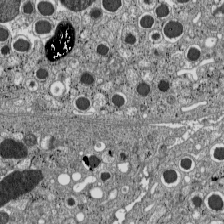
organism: C57BL Mouse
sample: Pancreatic islet